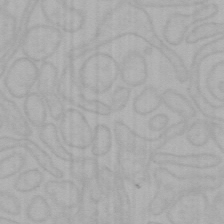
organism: Mouse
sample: Choroid plexus